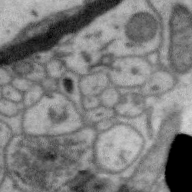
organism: Zebra finch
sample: Brain